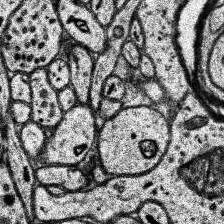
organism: Human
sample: Temporal Lobe